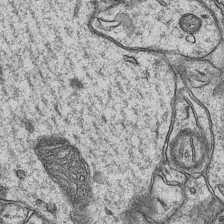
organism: Mouse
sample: CA1 Hippocampus